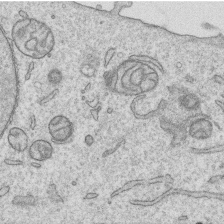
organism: Human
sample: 1205lu cells